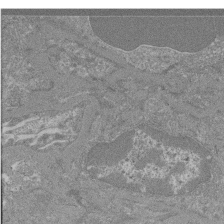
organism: Mouse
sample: Glomerulus